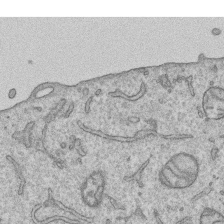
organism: Human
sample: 1205lu cells